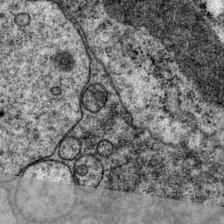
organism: P. pacificus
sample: Pharynx